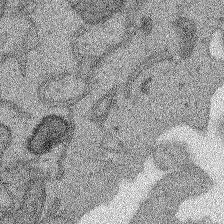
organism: Human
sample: HeLa cells